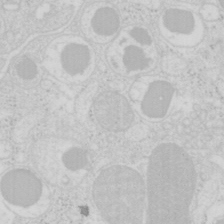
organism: Mouse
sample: Pancreas